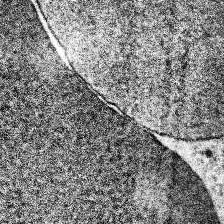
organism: Human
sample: Temporal Lobe